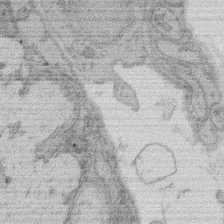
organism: Rat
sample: Salivary granule